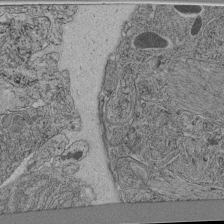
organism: C. elegans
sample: C. elegans pharynx